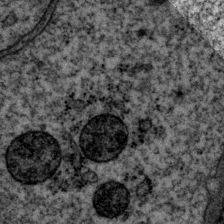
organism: P. pacificus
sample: Pharynx